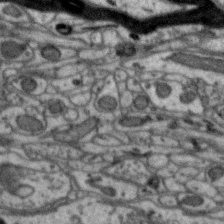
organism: Zebra finch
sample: Brain